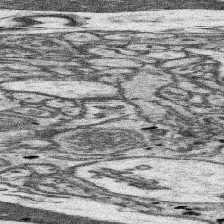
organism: Mouse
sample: Somatosensory cortex neuropil